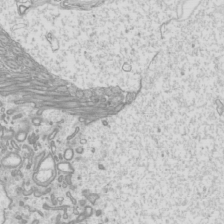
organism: Mouse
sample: Cilia; mouse epididymis